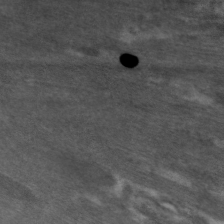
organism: C. elegans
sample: Pharynx